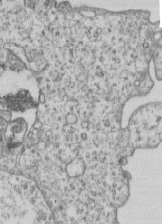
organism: Human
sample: MDA-MB-231 cells